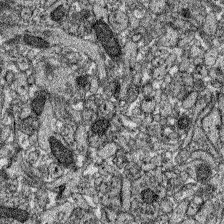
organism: Zebrafish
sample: Larval olfactory bulb